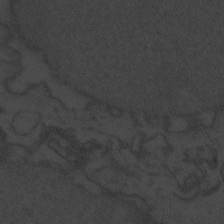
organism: Zebrafish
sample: Macrophage infected with Toxoplasma gondii